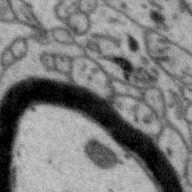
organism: Zebra finch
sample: Brain